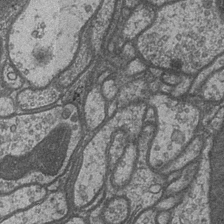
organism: Drosophila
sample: Optic medulla